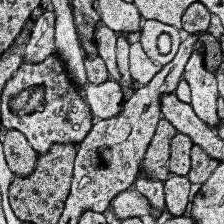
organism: Human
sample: Temporal Lobe